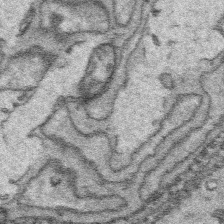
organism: Platynereis dumerilii